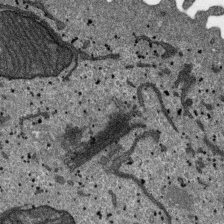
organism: Human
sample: Lung epithelial cells, uninfected (mock) control